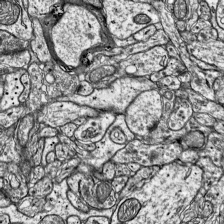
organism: Mouse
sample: Visual Cortex